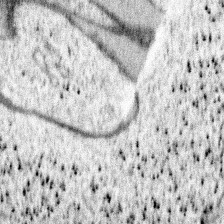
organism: Human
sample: HeLa cells